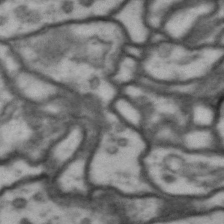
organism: Drosophila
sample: Brain